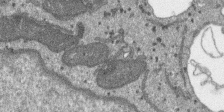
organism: Human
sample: Lung epithelial cells infected with SARS-CoV-2